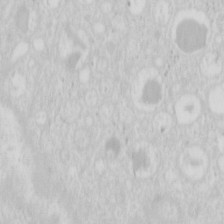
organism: Mouse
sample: Pancreas